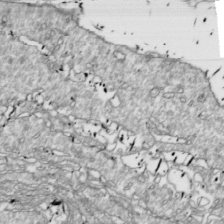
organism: Drosophila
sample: Cell division; meiosis; drosophila spermatocytes